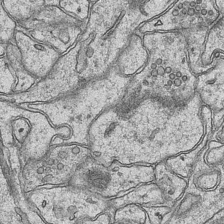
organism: Mouse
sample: CA1 Hippocampus